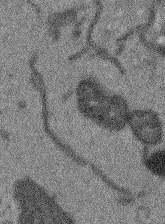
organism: Arabidopsis thaliana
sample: Root tip